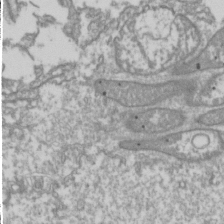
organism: Drosophila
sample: Cell division; meiosis; drosophila spermatocytes